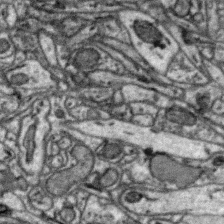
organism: Zebra finch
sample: Brain